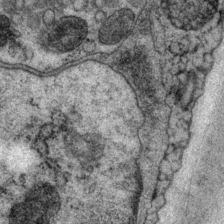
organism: P. pacificus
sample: Pharynx